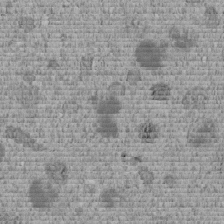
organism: C. elegans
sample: C. elegans embryo early stage